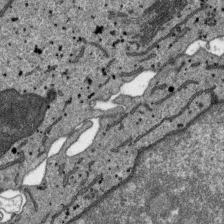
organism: Human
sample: Lung epithelial cells, uninfected (mock) control